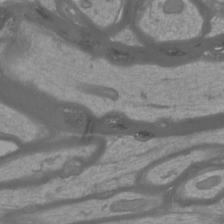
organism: Mouse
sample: Cortical neurons